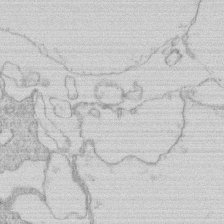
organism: Human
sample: Macrophage cells